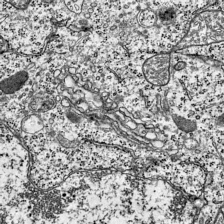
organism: Mouse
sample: Visual Cortex